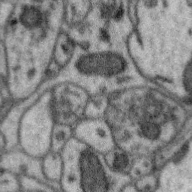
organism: Zebra finch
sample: Brain